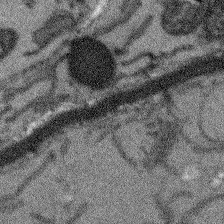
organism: Arabidopsis thaliana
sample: Root tip